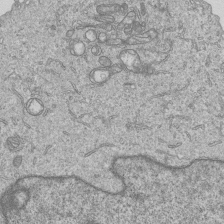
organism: Human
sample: MDA-MB-231 cells